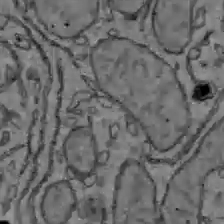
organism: C57BL Mouse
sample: Liver